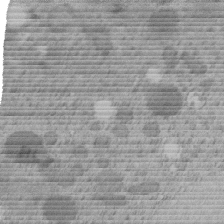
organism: C. elegans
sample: C. elegans embryo early stage